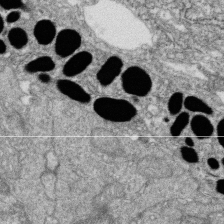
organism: Zebrafish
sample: Cilia; retinal pigment epithelium